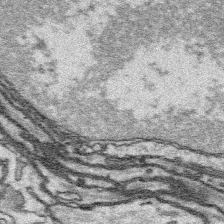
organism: Platynereis dumerilii